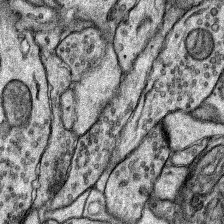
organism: Rat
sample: Hippocampus